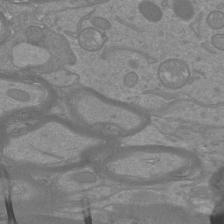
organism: Mouse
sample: Cortical neurons